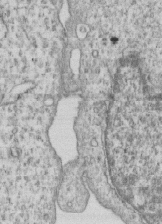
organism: Human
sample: MDA-MB-231 cells